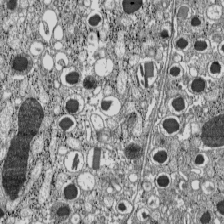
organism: C57BL Mouse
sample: Pancreatic islet